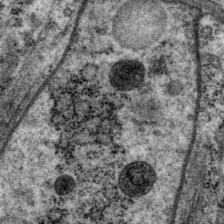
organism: P. pacificus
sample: Pharynx